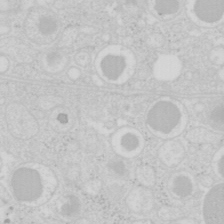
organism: Mouse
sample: Pancreas